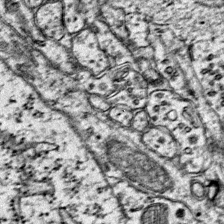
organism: Mouse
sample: Primary visual cortex